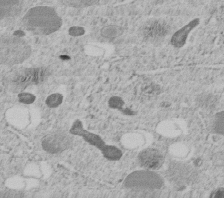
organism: C. elegans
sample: C. elegans embryo early stage